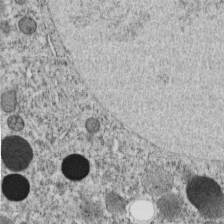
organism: C. elegans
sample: C. elegans embryo early stage